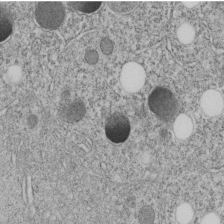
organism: C. elegans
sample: C. elegans embryo early stage